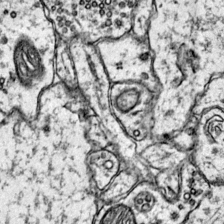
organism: Mouse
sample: Primary visual cortex